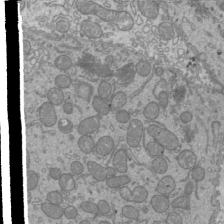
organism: Mouse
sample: Cilia; mouse epididymis